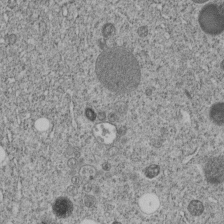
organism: C. elegans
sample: C. elegans embryo early stage